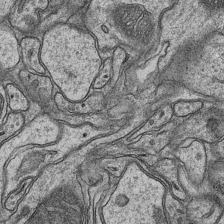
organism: Mouse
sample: CA1 Hippocampus